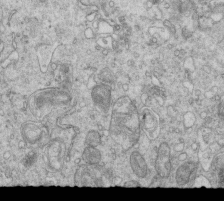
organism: Mouse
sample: Multiciliated cells